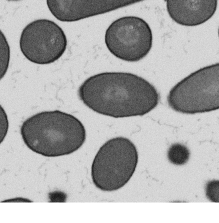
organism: B. subtilis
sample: Bacterial spore